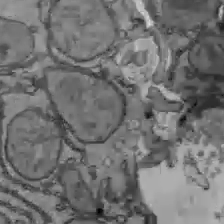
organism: C57BL Mouse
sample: Liver